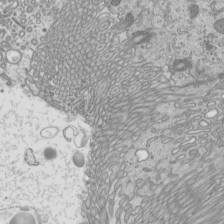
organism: Mouse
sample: Cilia; mouse epididymis